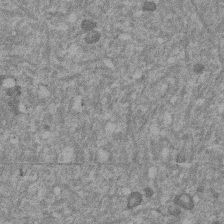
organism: Mouse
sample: Dividing mouse embryo 1 cell stage